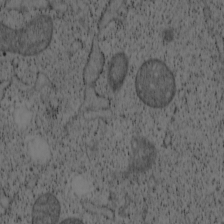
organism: African green monkey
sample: COS-7 cells